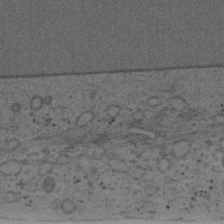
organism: Human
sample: HeLa cells